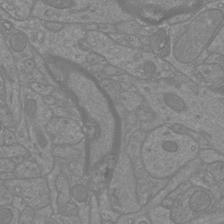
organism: Mouse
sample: Cortical neurons